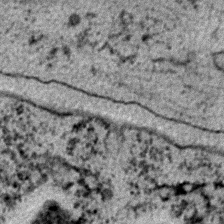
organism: C. elegans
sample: C. elegans embryo